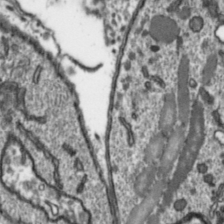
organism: Toxoplasma gondii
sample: Parasites in a vacuole inside a host cell